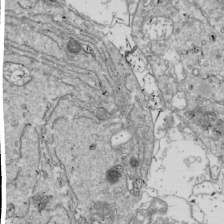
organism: Drosophila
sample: Cell division; meiosis; drosophila spermatocytes